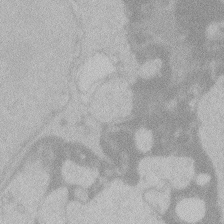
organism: Zebrafish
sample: Macrophage infected with Toxoplasma gondii